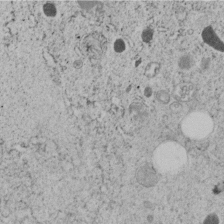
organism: C. elegans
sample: C. elegans embryo early stage